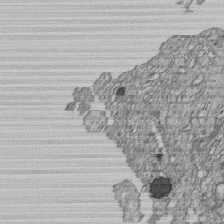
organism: Human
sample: MDA-MB-231 cells